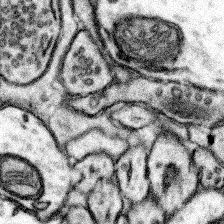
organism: Mouse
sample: Somatosensory cortex neuropil